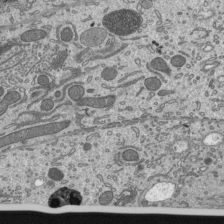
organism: Mouse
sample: Mouse epididymis efferent ductule cilia